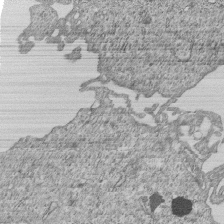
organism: Human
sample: MDA-MB-231 cells